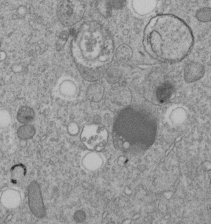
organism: C. elegans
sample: C. elegans embryo early stage